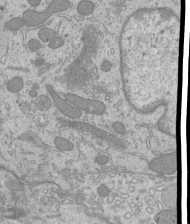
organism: Mouse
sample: Cilia; mouse epididymis